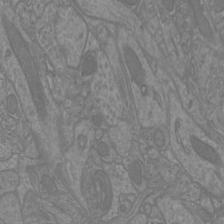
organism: Mouse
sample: Cortical neurons